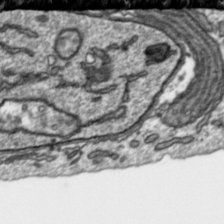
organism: Toxoplasma gondii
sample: Parasites in a vacuole inside a host cell